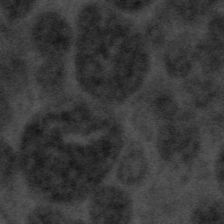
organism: Tuwongella immobilis